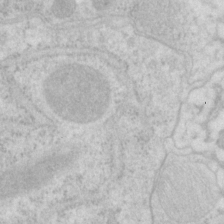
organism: P. pacificus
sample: Pharynx